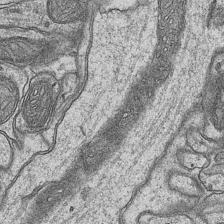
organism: Mouse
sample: CA1 Hippocampus